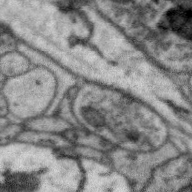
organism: Zebra finch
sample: Brain